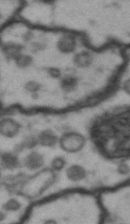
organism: Drosophila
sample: Brain